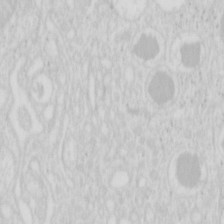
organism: Mouse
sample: Pancreas